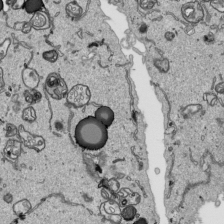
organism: Human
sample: Mitochondria in HCT116 cells